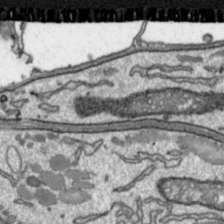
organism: Toxoplasma gondii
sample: Parasites in a vacuole inside a host cell